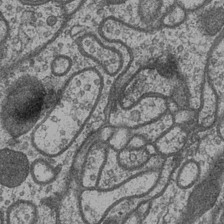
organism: Drosophila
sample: Optic medulla